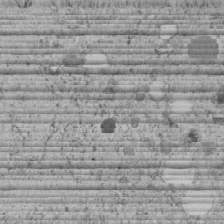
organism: C. elegans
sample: C. elegans embryo early stage